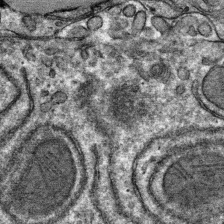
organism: Mouse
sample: Mouse hepatocytes